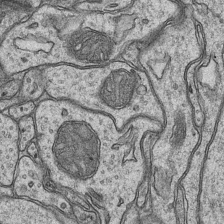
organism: Mouse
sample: CA1 Hippocampus